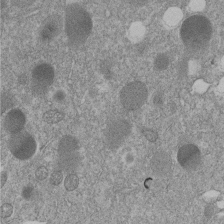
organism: C. elegans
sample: C. elegans embryo early stage